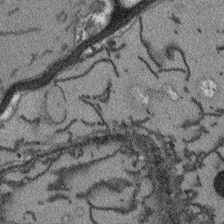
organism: Arabidopsis thaliana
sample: Root tip